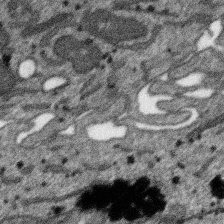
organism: Human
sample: Lung epithelial cells infected with SARS-CoV-2